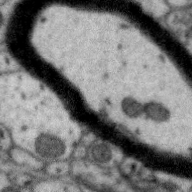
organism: Zebra finch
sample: Brain